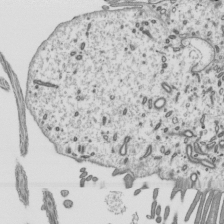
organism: Mouse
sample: Mouse epididymis efferent ductule cilia